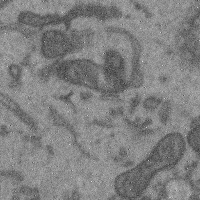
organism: Mouse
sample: Cerebral cortex